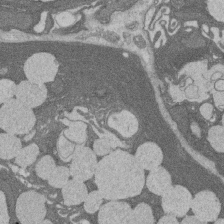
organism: Rat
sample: Salivary granule